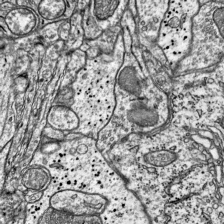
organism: Mouse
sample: Visual Cortex